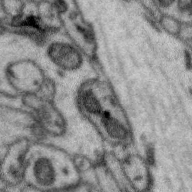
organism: Zebra finch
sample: Brain